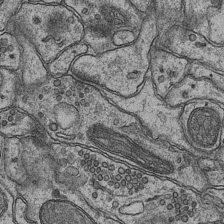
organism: Mouse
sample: CA1 Hippocampus